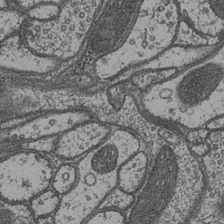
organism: Drosophila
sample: Optic medulla